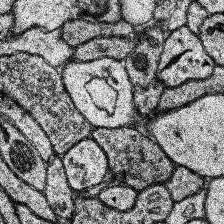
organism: Human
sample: Temporal Lobe